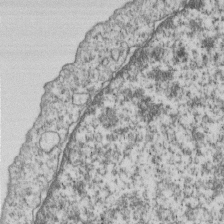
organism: Human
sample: MDA-MB-231 cells